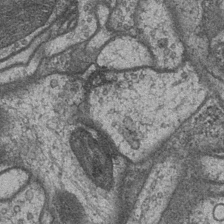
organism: Drosophila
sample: Optic medulla